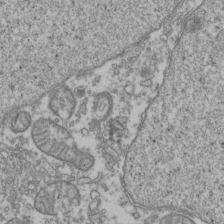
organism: Human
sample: Activated Jurkat CD4+ T cells